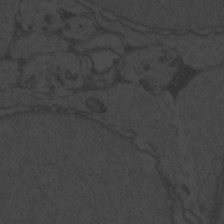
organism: Zebrafish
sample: Macrophage infected with Toxoplasma gondii